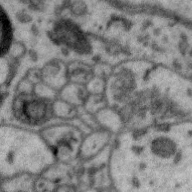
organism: Zebra finch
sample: Brain